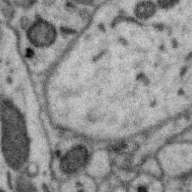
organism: Zebra finch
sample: Brain